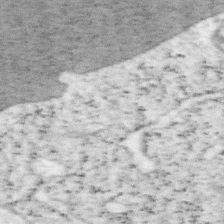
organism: Mouse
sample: OT-I killer T cells with ID8 ovarian cancer cells